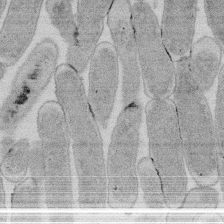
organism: E. coli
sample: Bacterial nucleoid